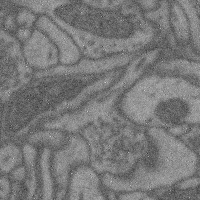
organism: Mouse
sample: Cerebral cortex